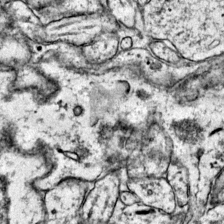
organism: Mouse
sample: Primary visual cortex